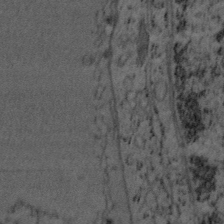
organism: Human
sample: HeLa cells